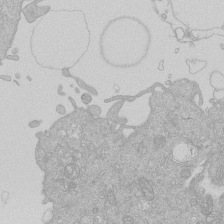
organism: Human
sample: Macrophage cells